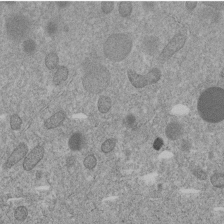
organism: C. elegans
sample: C. elegans embryo early stage